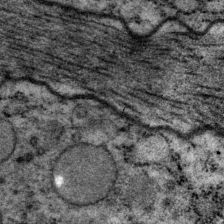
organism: P. pacificus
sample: Pharynx